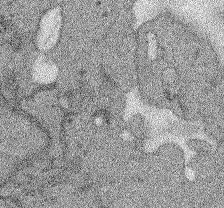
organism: Human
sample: HeLa cells